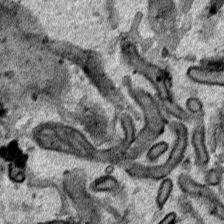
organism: Human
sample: Mitochondria in HCT116 cells